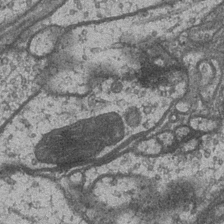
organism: Drosophila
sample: Optic medulla